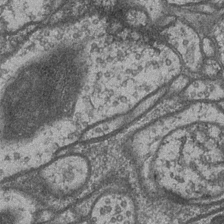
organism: Drosophila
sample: Optic medulla